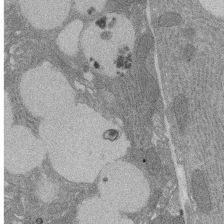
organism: Rat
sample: Salivary granule